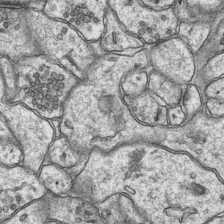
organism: Mouse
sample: CA1 Hippocampus